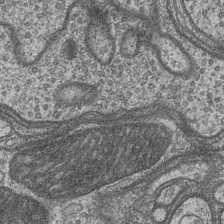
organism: Drosophila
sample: Optic medulla